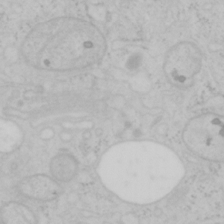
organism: Mouse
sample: OT-I killer T cells with ID8 ovarian cancer cells